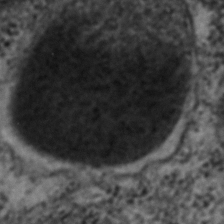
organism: C. elegans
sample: C. elegans embryo